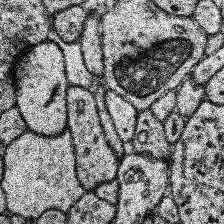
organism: Human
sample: Temporal Lobe